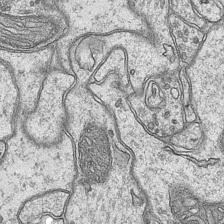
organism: Mouse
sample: CA1 Hippocampus